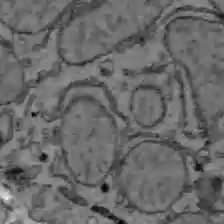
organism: C57BL Mouse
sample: Liver